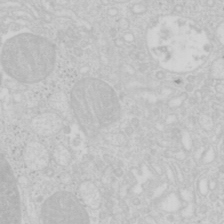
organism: Mouse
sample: Pancreas